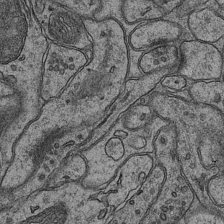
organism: Mouse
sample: CA1 Hippocampus